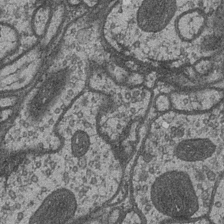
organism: Drosophila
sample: Optic medulla